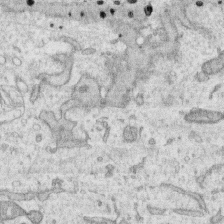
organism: Human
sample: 1205lu cells